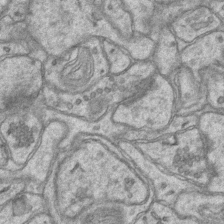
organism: Mouse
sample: CA1 Hippocampus